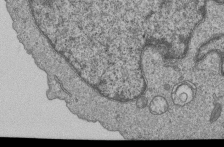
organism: Human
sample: MDA-MB-231 cells